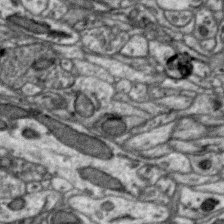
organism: Zebra finch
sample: Brain